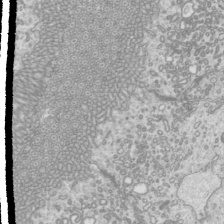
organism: Mouse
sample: Cilia; mouse epididymis